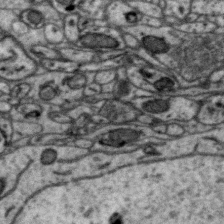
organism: Zebra finch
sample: Brain